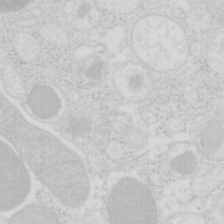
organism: Mouse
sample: Pancreas